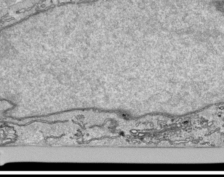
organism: Human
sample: Mitochondria in HCT116 cells